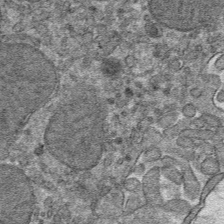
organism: Mouse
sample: Mouse hepatocytes